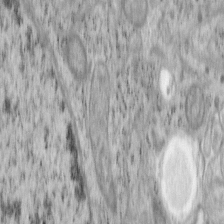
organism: Human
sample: HeLa cells